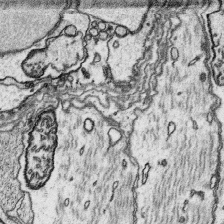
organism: Platynereis dumerilii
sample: Parapodia